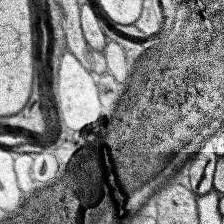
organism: Human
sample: Temporal Lobe